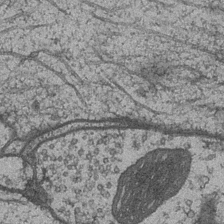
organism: Drosophila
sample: Optic medulla